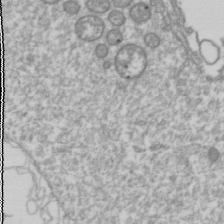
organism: Drosophila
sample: Cell division; meiosis; drosophila spermatocytes